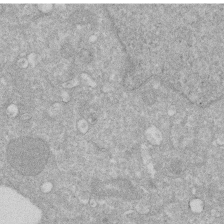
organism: Human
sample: HIV infected U937 cells